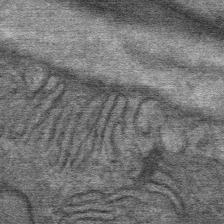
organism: Mouse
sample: Mouse Salivary gland